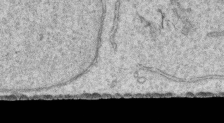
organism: Human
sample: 1205lu cells